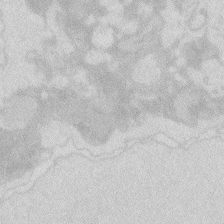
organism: Zebrafish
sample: Macrophage